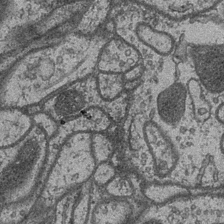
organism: Drosophila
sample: Optic medulla